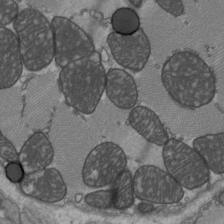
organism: C57BL Mouse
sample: Heart